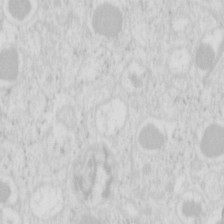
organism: Mouse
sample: Pancreas